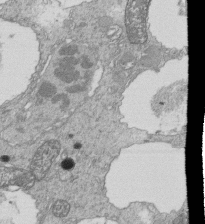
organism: Tetrahymena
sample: Cilia in tetrahymena